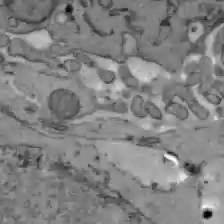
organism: C57BL Mouse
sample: Liver